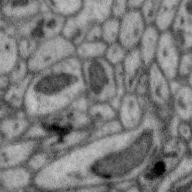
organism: Zebra finch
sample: Brain